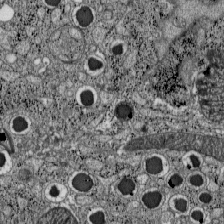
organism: C57BL Mouse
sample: Pancreatic islet